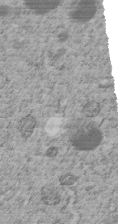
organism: C. elegans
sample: C. elegans embryo early stage